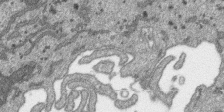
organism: Human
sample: Lung epithelial cells infected with SARS-CoV-2